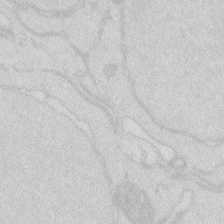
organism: Zebrafish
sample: Macrophage